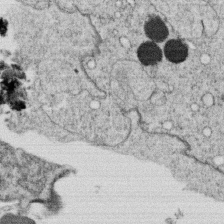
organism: C. elegans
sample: C. elegans oocyte; sperm cells